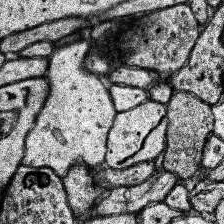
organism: Human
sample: Temporal Lobe